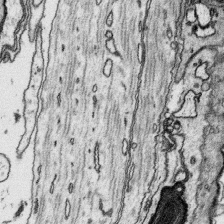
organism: Platynereis dumerilii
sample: Parapodia